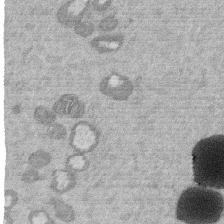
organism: Mouse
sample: Dividing mouse embryo 1 cell stage